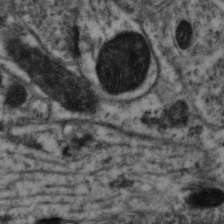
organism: Mouse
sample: Neocortex